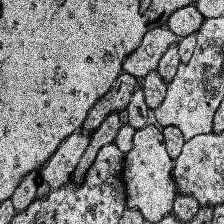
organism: Human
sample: Temporal Lobe